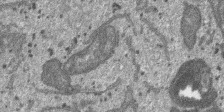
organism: Human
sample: Lung epithelial cells infected with SARS-CoV-2